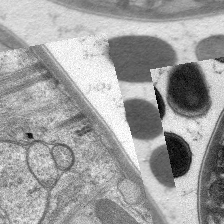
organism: C. elegans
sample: Pharynx